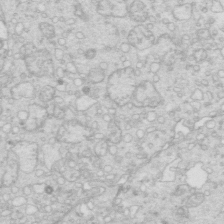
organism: Mouse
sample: Multiciliated cells